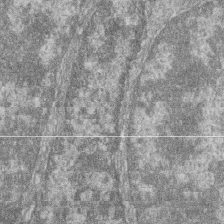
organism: Zebrafish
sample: Cilia; retinal pigment epithelium